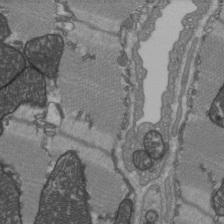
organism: C57BL Mouse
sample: Heart